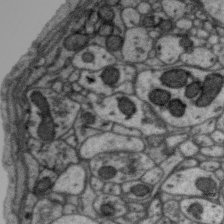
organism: Zebra finch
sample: Brain